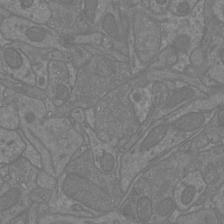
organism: Mouse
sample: Cortical neurons